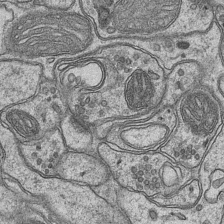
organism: Mouse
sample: CA1 Hippocampus